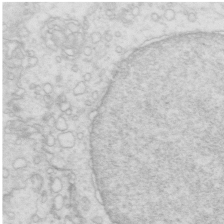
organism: Mouse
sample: Multiciliated cells